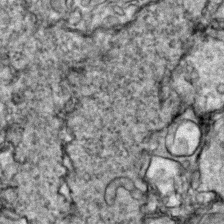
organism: Zebrafish